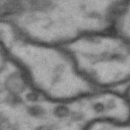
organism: Drosophila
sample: Brain